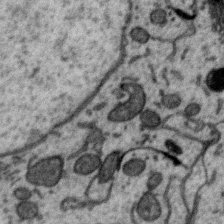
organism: Zebra finch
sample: Brain